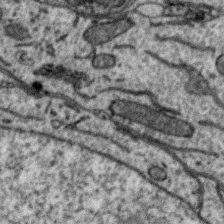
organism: Zebra finch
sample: Brain